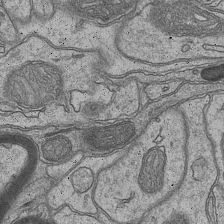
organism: Mouse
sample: CA1 Hippocampus